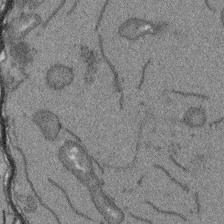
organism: Arabidopsis thaliana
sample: Root tip